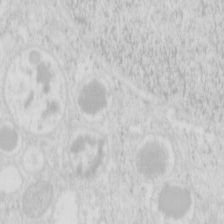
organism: Mouse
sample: Pancreas